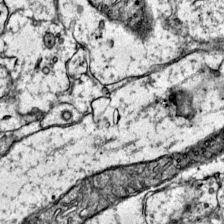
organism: Mouse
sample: Primary visual cortex